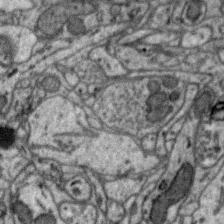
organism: Zebra finch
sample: Brain